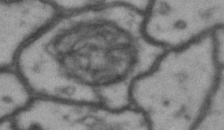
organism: Drosophila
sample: Brain